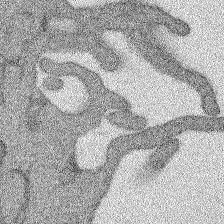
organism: Human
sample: HeLa cells